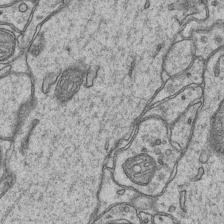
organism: Mouse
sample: CA1 Hippocampus